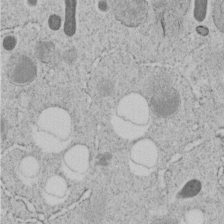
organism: C. elegans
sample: C. elegans embryo early stage